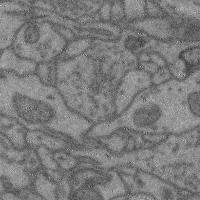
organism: Mouse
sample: Cerebral cortex